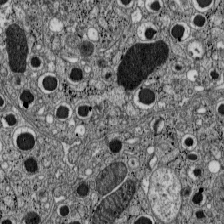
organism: C57BL Mouse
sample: Pancreatic islet